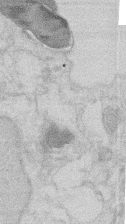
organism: Mouse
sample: T cell stromal cell synapse